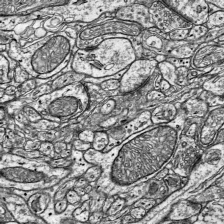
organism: Mouse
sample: Visual Cortex